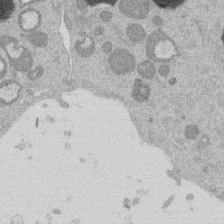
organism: Mouse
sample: Dividing mouse embryo 1 cell stage